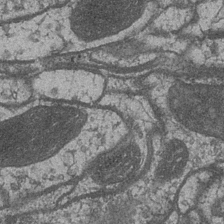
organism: Drosophila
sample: Optic medulla